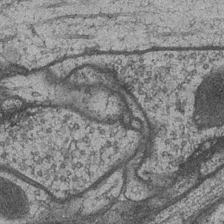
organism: Drosophila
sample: Optic medulla